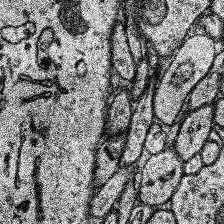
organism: Human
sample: Temporal Lobe